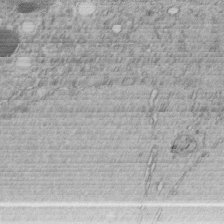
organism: C. elegans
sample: C. elegans embryo early stage